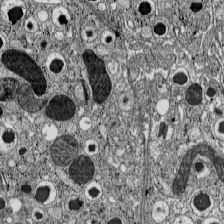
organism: C57BL Mouse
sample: Pancreatic islet